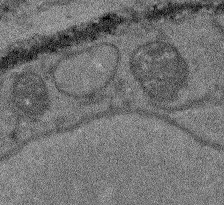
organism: Arabidopsis thaliana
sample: Root tip